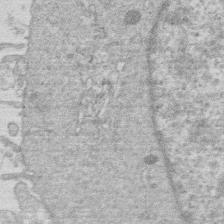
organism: Human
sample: Macrophage cells